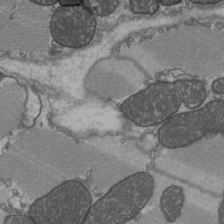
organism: C57BL Mouse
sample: Heart